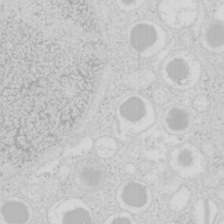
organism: Mouse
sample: Pancreas